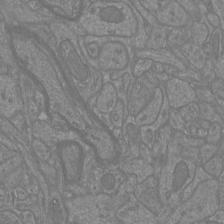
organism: Mouse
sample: Cortical neurons